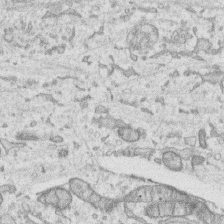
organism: Human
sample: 1205lu cells